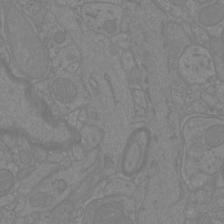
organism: Mouse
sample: Cortical neurons